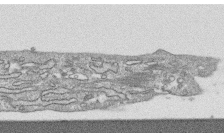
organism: Human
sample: CRL-1474